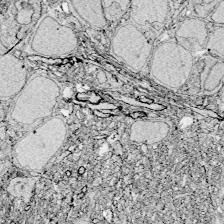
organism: Zebrafish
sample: Whole-Brain